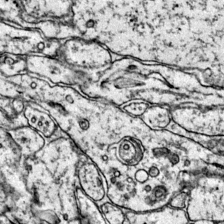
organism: Mouse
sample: Primary visual cortex